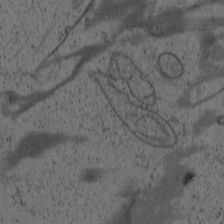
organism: African green monkey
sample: COS-7 cells